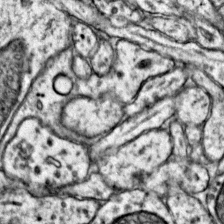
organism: Mouse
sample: Primary visual cortex